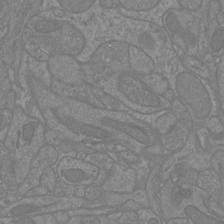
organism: Mouse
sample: Cortical neurons